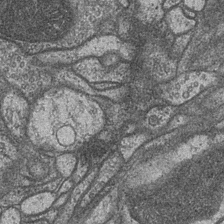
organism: Drosophila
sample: Optic medulla